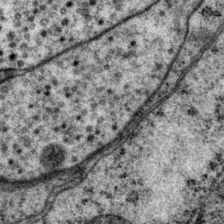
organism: P. pacificus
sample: Pharynx